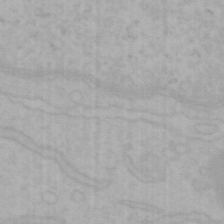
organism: Mouse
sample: Choroid plexus